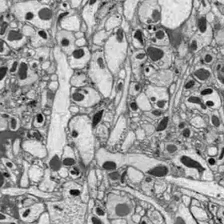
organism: Drosophila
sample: Optic lobe